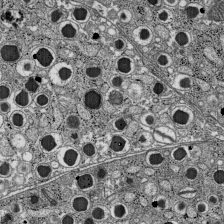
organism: C57BL Mouse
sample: Pancreatic islet